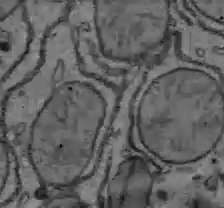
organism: C57BL Mouse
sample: Liver